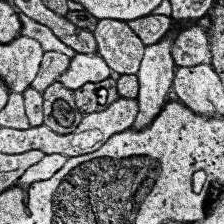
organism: Human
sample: Temporal Lobe